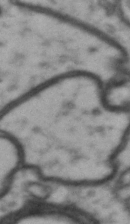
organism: Drosophila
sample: Brain